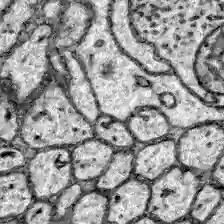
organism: Zebrafish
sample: Brain